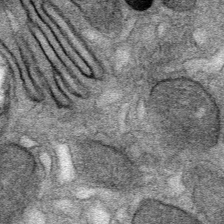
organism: Mouse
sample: Mouse Salivary gland